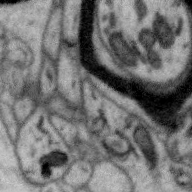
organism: Zebra finch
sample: Brain